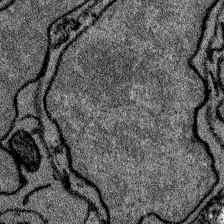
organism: Zebrafish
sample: Larval olfactory bulb